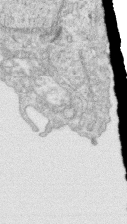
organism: Human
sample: HeLa cell HIV synapse